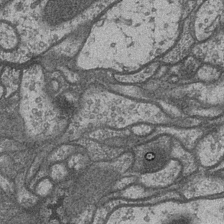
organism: Drosophila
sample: Optic medulla